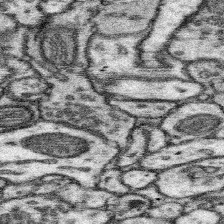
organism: Mouse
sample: Somatosensory cortex neuropil